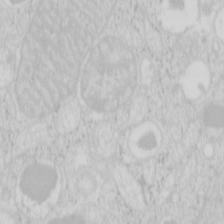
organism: Mouse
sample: Pancreas